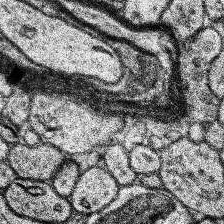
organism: Human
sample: Temporal Lobe